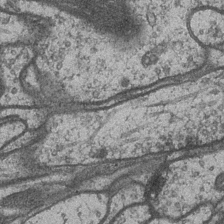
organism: Drosophila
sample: Optic medulla